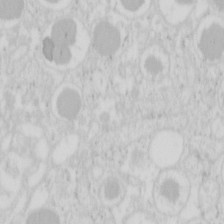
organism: Mouse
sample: Pancreas